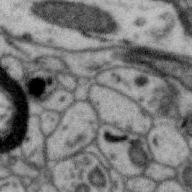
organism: Zebra finch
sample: Brain